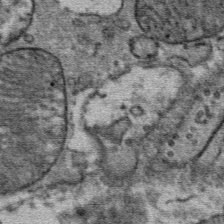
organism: Mouse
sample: Mouse Salivary gland